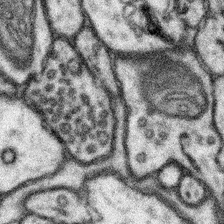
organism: Mouse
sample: Somatosensory cortex neuropil